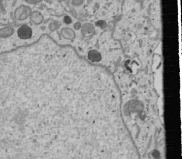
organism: Human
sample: Mitochondria in U2OS cells